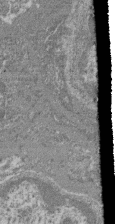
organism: Mouse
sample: Glomerulus